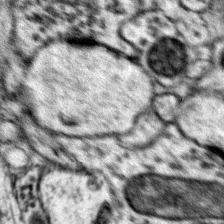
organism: Mouse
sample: Primary visual cortex